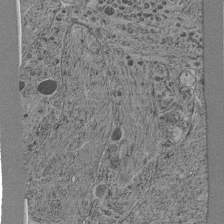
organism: C. elegans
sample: C. elegans pharynx